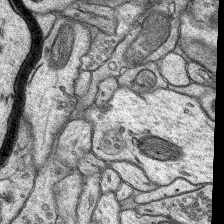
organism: Rat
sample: Hippocampus